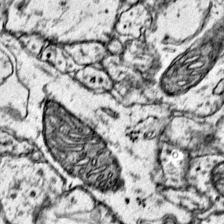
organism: Mouse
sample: Primary visual cortex